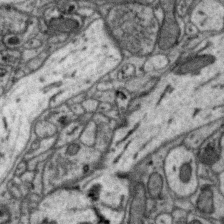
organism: Zebra finch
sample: Brain